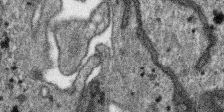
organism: Human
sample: Lung epithelial cells infected with SARS-CoV-2